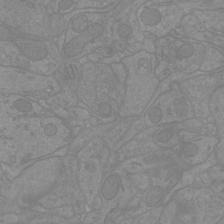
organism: Mouse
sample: Cortical neurons